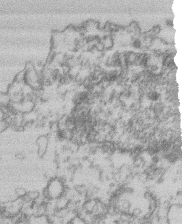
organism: Mouse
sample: T cell stromal cell synapse